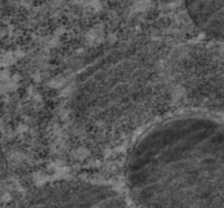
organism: C. elegans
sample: C. elegans embryo